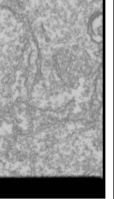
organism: Drosophila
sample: Cell division; meiosis; drosophila spermatocytes